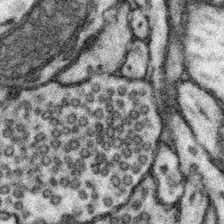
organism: Mouse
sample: Somatosensory cortex neuropil